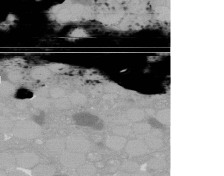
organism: C. elegans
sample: C. elegans oocyte; sperm cells